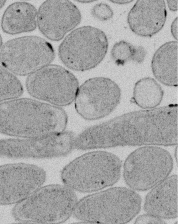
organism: E. coli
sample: Bacterial nucleoid